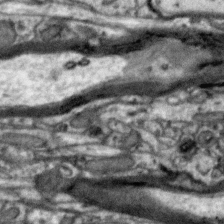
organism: Zebra finch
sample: Brain